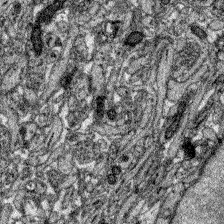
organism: Zebrafish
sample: Larval olfactory bulb